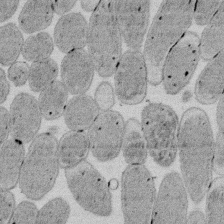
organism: E. coli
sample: Bacterial nucleoid